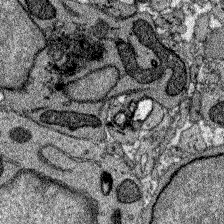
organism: Zebrafish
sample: Larval olfactory bulb